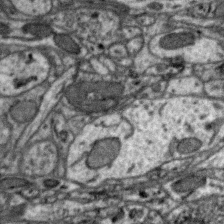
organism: Zebra finch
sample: Brain